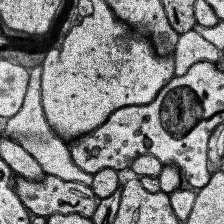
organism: Human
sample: Temporal Lobe